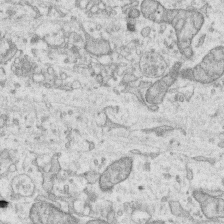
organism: Human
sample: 1205lu cells